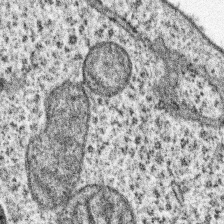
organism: Human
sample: HeLa cells